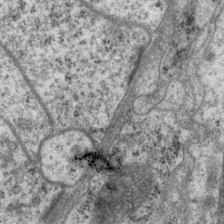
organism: P. pacificus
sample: Pharynx